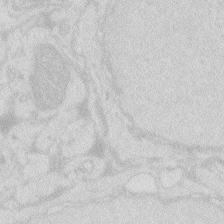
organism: Zebrafish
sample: Macrophage